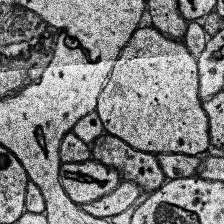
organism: Human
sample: Temporal Lobe